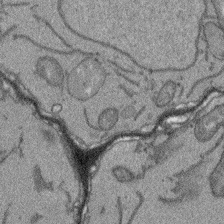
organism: Arabidopsis thaliana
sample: Root tip